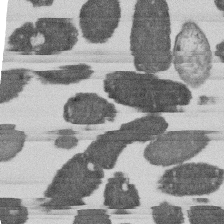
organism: E. coli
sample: Bacterial nucleoid